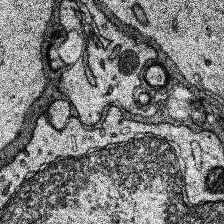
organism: Human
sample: Temporal Lobe